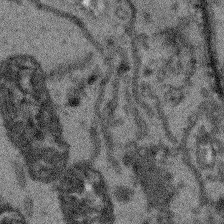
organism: Arabidopsis thaliana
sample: Root tip